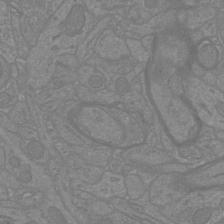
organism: Mouse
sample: Cortical neurons